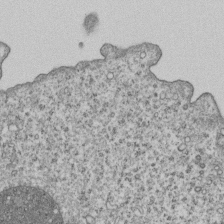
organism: Human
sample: MDA-MB-231 cells